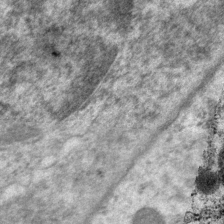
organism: P. pacificus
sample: Pharynx